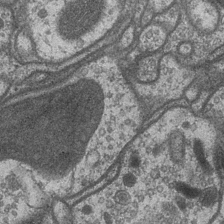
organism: Drosophila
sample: Optic medulla